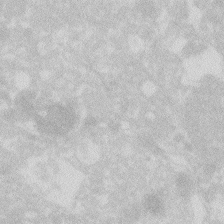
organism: Zebrafish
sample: Macrophage